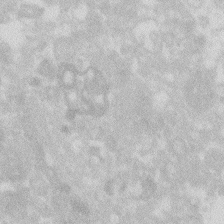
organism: Zebrafish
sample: Macrophage